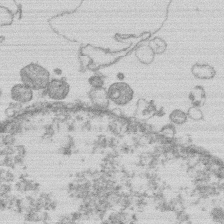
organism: Human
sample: Macrophage cells